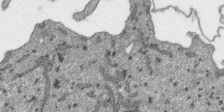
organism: Human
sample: Lung epithelial cells infected with SARS-CoV-2